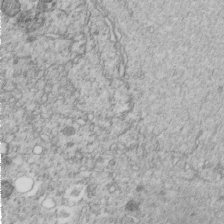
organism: C. elegans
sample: C. elegans embryo early stage